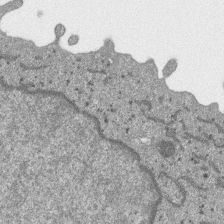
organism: Human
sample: Lung epithelial cells infected with SARS-CoV-2